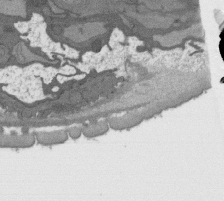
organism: C. elegans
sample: AFD neurons C. elegans